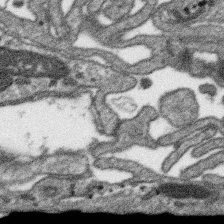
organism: Human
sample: Lung epithelial cells infected with SARS-CoV-2